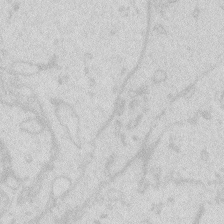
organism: Zebrafish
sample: Macrophage